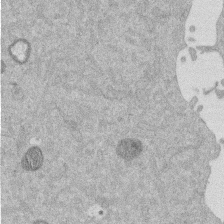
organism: Mouse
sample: Dividing mouse embryo 1 cell stage